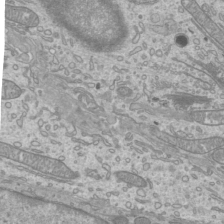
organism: Mouse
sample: Cilia; mouse epididymis